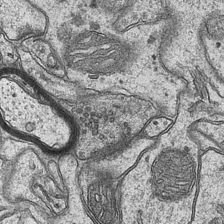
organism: Mouse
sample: CA1 Hippocampus